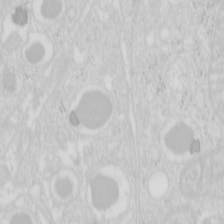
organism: Mouse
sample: Pancreas